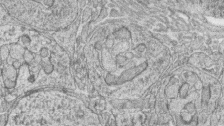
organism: Zebrafish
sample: synaptic ribbons in rod cells and cone cells